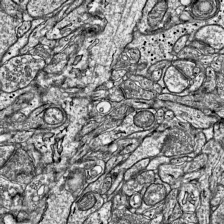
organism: Mouse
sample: Visual Cortex